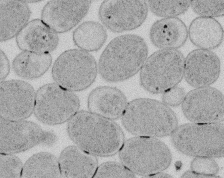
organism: E. coli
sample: Bacterial nucleoid